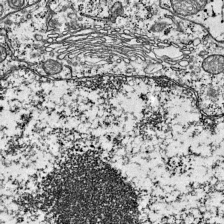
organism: Mouse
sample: Visual Cortex